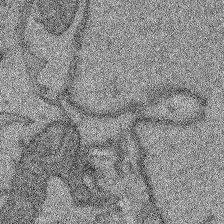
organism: Human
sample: HeLa cells